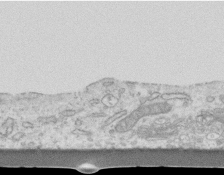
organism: Mouse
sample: Centriole in ependymal cells